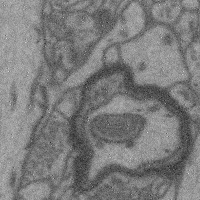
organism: Mouse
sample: Cerebral cortex